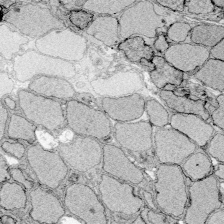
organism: Zebrafish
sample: Whole-Brain